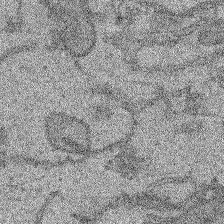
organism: Human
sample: HeLa cells